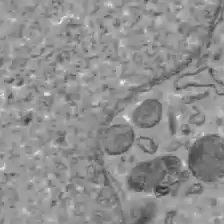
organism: C57BL Mouse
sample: Liver